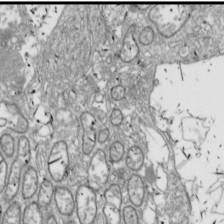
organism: Drosophila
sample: Cell division; meiosis; drosophila spermatocytes